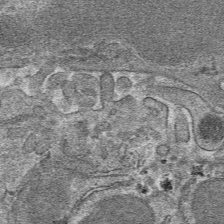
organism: Mouse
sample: Mouse hepatocytes